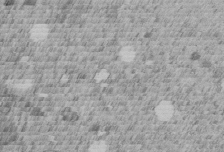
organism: C. elegans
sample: C. elegans embryo early stage